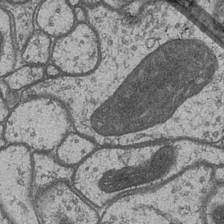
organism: Drosophila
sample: Optic medulla